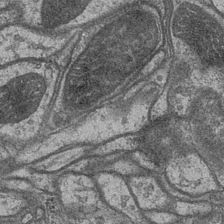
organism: Drosophila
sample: Optic medulla